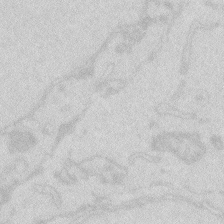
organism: Zebrafish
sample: Macrophage